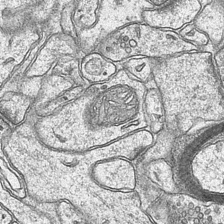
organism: Mouse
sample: CA1 Hippocampus